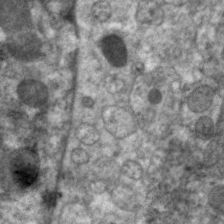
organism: C. elegans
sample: Pharynx